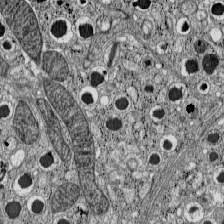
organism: C57BL Mouse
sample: Pancreatic islet